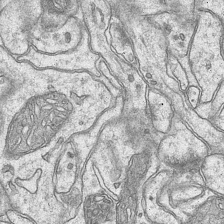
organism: Mouse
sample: CA1 Hippocampus